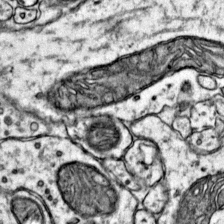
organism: Mouse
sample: Primary visual cortex